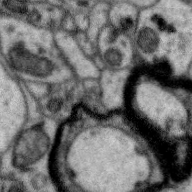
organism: Zebra finch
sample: Brain